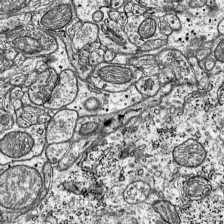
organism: Mouse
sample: Visual Cortex